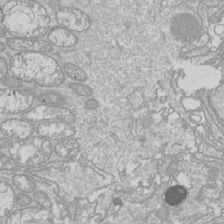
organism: Drosophila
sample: Cell division; meiosis; drosophila spermatocytes